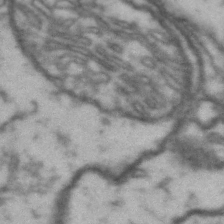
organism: Drosophila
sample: Brain